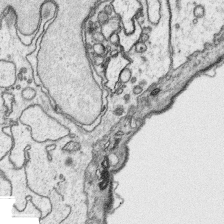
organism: Platynereis dumerilii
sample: Parapodia